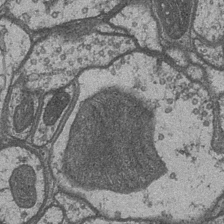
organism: Drosophila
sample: Optic medulla